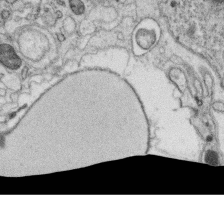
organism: C. elegans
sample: C. elegans oocyte; sperm cells